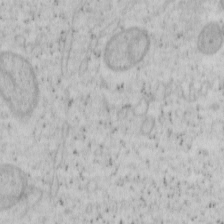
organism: Human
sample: HeLa cells